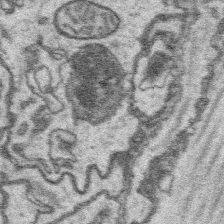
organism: Platynereis dumerilii